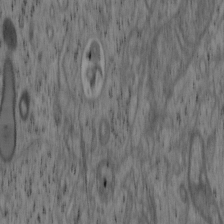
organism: Human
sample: HeLa cells